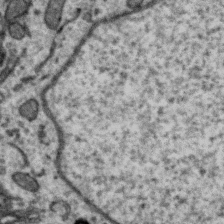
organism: Zebra finch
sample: Brain